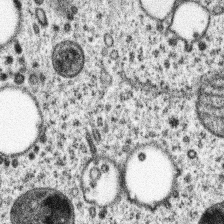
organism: Human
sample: HeLa cells